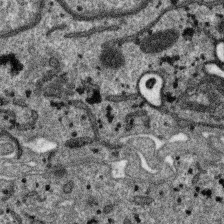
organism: Human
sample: Lung epithelial cells infected with SARS-CoV-2